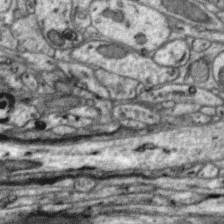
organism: Zebra finch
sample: Brain